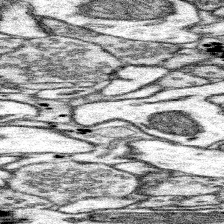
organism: Mouse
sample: Somatosensory cortex neuropil